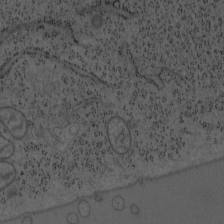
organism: Mouse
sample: OT-I killer T cells with ID8 ovarian cancer cells